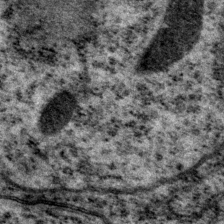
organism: P. pacificus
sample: Pharynx